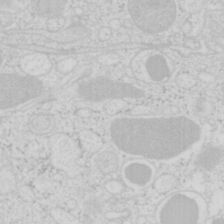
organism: Mouse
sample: Pancreas